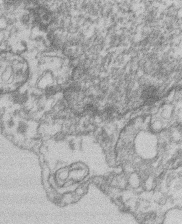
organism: Mouse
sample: T cell stromal cell synapse